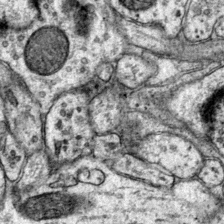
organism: Mouse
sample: Primary visual cortex